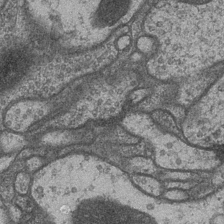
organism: Drosophila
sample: Optic medulla